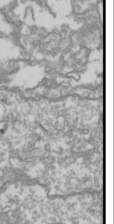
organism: Drosophila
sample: Cell division; meiosis; drosophila spermatocytes